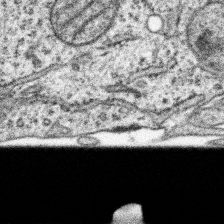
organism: Human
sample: HeLa cells